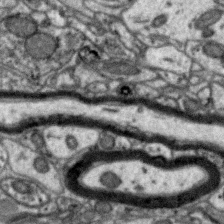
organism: Zebra finch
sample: Brain